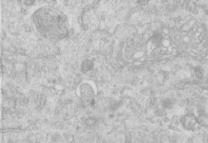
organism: Human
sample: Centriole in RPE cells